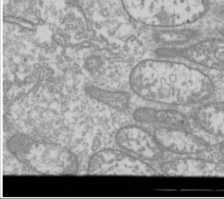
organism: Drosophila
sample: Cell division; meiosis; drosophila spermatocytes